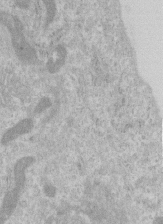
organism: Human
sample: Centriole in RPE cells